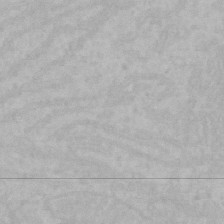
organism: Mouse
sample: Choroid plexus